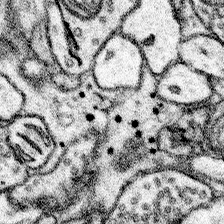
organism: Mouse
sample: Somatosensory cortex neuropil